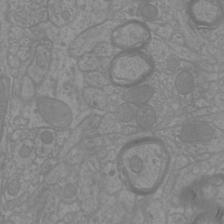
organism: Mouse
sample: Cortical neurons